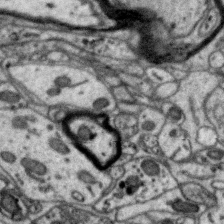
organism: Zebra finch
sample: Brain